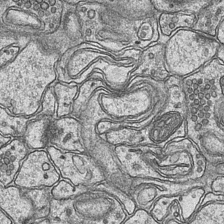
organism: Mouse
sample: CA1 Hippocampus